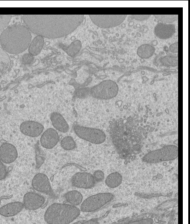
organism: Mouse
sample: Cilia; mouse epididymis